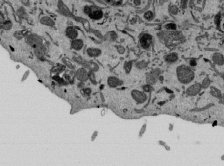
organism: Mouse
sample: ED-1 cell nuclei; centrioles